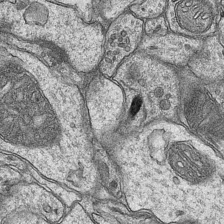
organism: Mouse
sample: CA1 Hippocampus